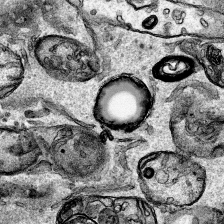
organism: Human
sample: Mitochondria in HCT116 cells